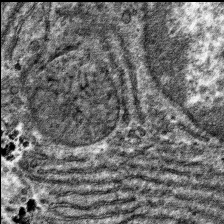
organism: Mouse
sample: Mouse hepatocytes